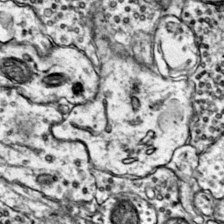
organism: Mouse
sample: Primary visual cortex